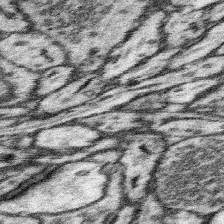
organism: Mouse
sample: Somatosensory cortex neuropil